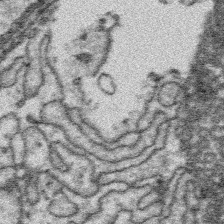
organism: Platynereis dumerilii